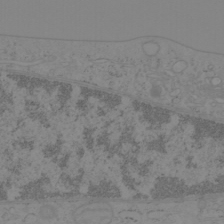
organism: Human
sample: HeLa cells